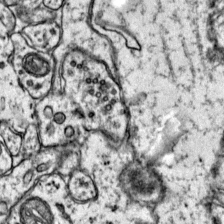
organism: Mouse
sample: Primary visual cortex